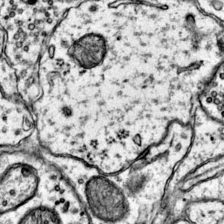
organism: Mouse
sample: Primary visual cortex